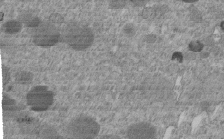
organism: C. elegans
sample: C. elegans embryo early stage